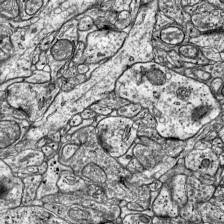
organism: Mouse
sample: Visual Cortex